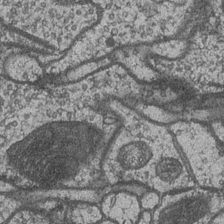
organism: Drosophila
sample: Optic medulla